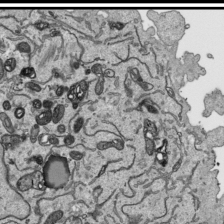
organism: Human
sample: Mitochondria in HCT116 cells